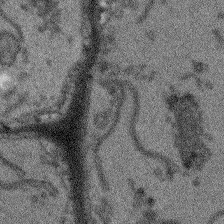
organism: Arabidopsis thaliana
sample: Root tip